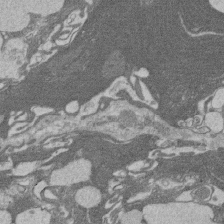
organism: Rat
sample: Salivary granule